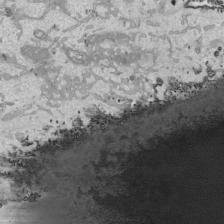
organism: Human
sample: Mitochondria in HCT116 cells